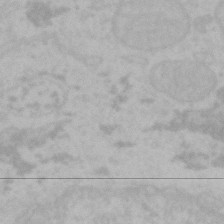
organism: Mouse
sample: Choroid plexus